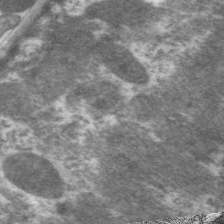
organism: C. elegans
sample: Pharynx